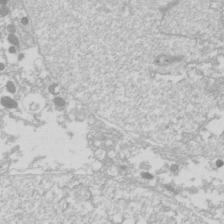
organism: Drosophila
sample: Cell division; meiosis; drosophila spermatocytes